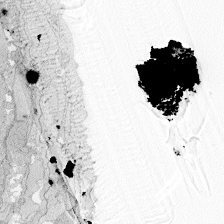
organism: Zebrafish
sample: Whole-Brain